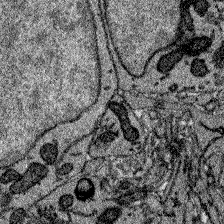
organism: Zebrafish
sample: Larval olfactory bulb